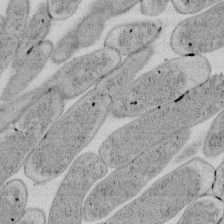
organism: E. coli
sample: Bacterial nucleoid